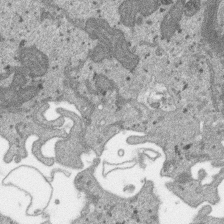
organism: Human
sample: Lung epithelial cells infected with SARS-CoV-2